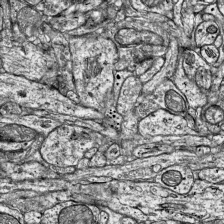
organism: Mouse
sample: Visual Cortex